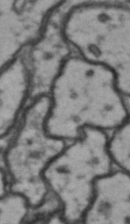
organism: Drosophila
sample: Brain